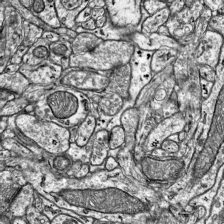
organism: Mouse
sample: Visual Cortex